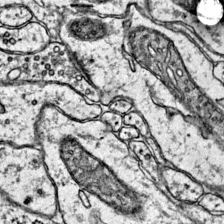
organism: Mouse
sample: Primary visual cortex